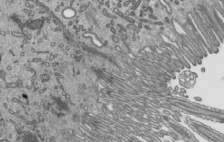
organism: Mouse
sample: Mouse epididymis efferent ductule cilia